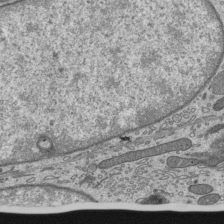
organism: Mouse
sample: Mouse epididymis efferent ductule cilia